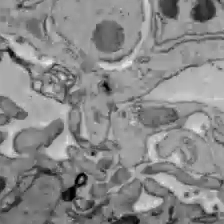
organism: C57BL Mouse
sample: Liver